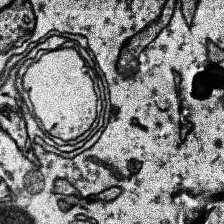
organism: Human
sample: Temporal Lobe